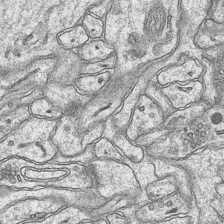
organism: Mouse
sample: CA1 Hippocampus